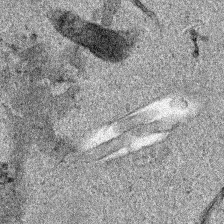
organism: Human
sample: Mitochondria in HCT116 cells